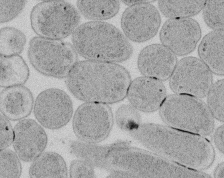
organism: E. coli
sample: Bacterial nucleoid